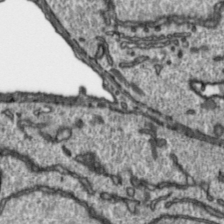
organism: Toxoplasma gondii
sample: Parasites in a vacuole inside a host cell